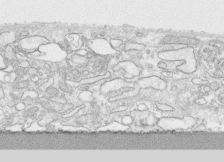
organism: Human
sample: CRL-1474